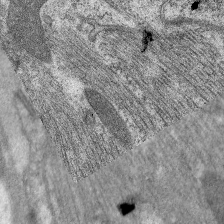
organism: C. elegans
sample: Pharynx